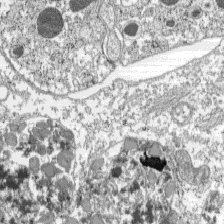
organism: C57BL Mouse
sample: Pancreatic islet